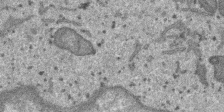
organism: Human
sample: Lung epithelial cells infected with SARS-CoV-2